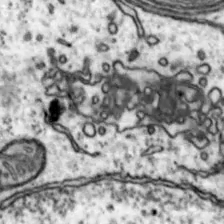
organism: Mouse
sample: Nucleus accumbens